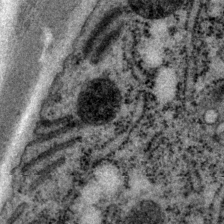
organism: P. pacificus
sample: Pharynx